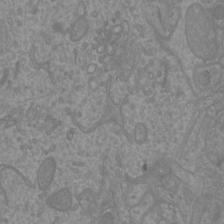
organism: Mouse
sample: Cortical neurons